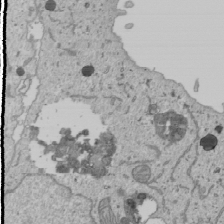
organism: Human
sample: Mitochondria in U2OS cells